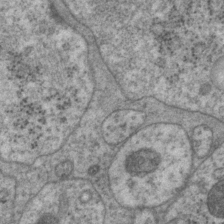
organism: P. pacificus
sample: Pharynx